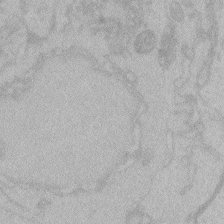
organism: Zebrafish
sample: Macrophage infected with Toxoplasma gondii